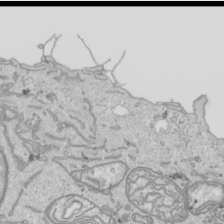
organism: Human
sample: Mitochondria in HCT116 cells